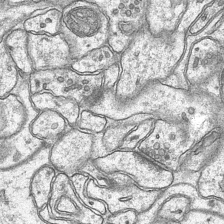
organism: Mouse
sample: CA1 Hippocampus